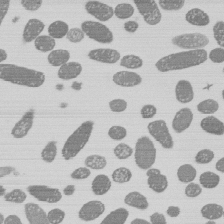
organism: E. coli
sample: Bacterial nucleoid